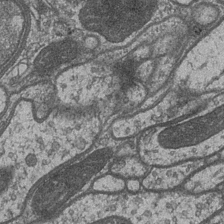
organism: Drosophila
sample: Optic medulla